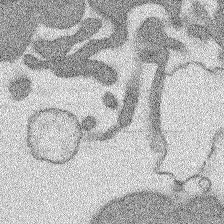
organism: Human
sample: HeLa cells